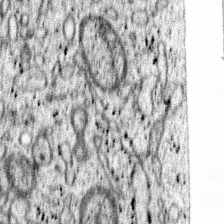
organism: Human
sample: HeLa cells